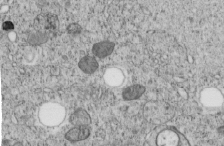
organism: C. elegans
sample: C. elegans embryo early stage